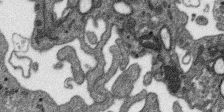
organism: Human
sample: Lung epithelial cells infected with SARS-CoV-2